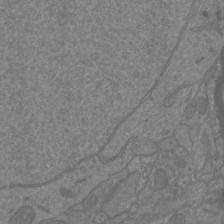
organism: Mouse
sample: Cortical neurons